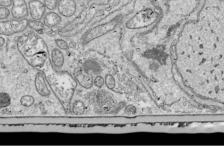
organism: Drosophila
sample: Cell division; meiosis; drosophila spermatocytes